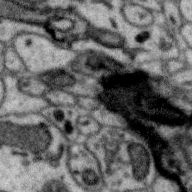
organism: Zebra finch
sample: Brain